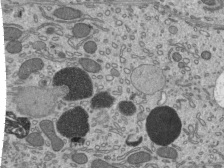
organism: Mouse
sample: Mouse epididymis efferent ductule cilia